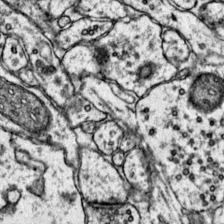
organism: Mouse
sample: Primary visual cortex